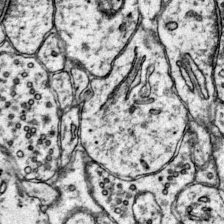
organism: Mouse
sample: Primary visual cortex